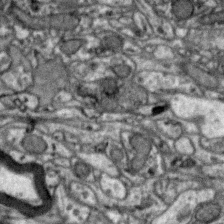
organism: Zebra finch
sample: Brain